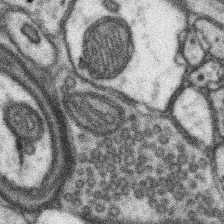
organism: Mouse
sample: Somatosensory cortex neuropil